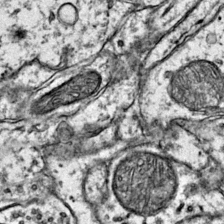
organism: Mouse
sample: Primary visual cortex